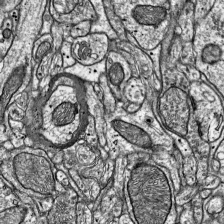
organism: Mouse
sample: Visual Cortex